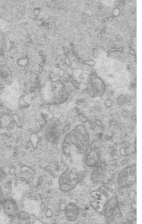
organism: Mouse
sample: Multiciliated cells